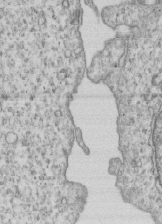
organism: Human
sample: MDA-MB-231 cells